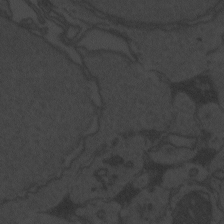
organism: Zebrafish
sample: Macrophage infected with Toxoplasma gondii